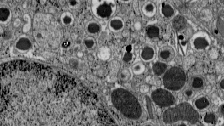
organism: C57BL Mouse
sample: Pancreatic islet